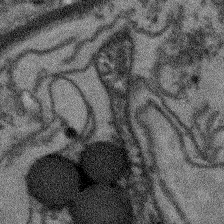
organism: Arabidopsis thaliana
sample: Root tip